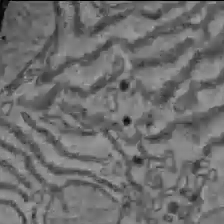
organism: C57BL Mouse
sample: Liver